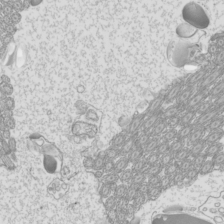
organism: Mouse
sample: Cilia; mouse epididymis